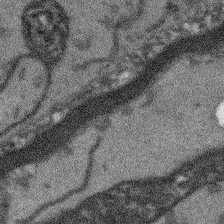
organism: Arabidopsis thaliana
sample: Root tip